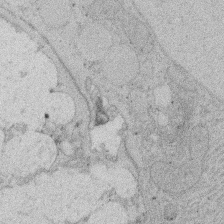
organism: Rat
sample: Salivary granule